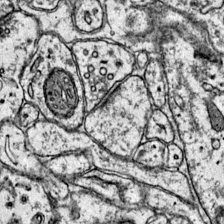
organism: Mouse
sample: Primary visual cortex